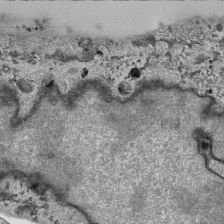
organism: Human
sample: Mitochondria in HCT116 cells